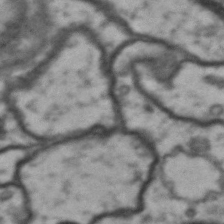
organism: Drosophila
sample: Brain